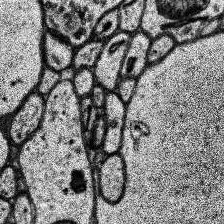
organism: Human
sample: Temporal Lobe